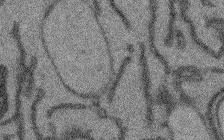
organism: Arabidopsis thaliana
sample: Root tip